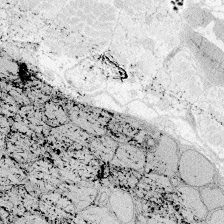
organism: Zebrafish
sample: Whole-Brain